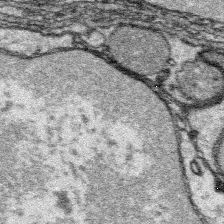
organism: Platynereis dumerilii